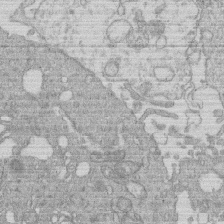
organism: Human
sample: Macrophage cells